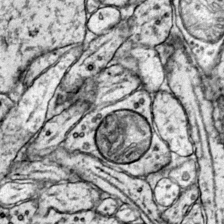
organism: Mouse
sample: Primary visual cortex